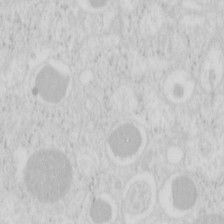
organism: Mouse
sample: Pancreas